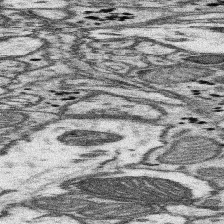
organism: Mouse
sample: Somatosensory cortex neuropil